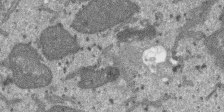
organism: Human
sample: Lung epithelial cells infected with SARS-CoV-2